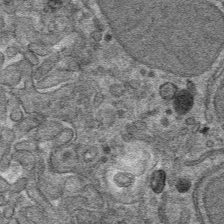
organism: Mouse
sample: Mouse hepatocytes